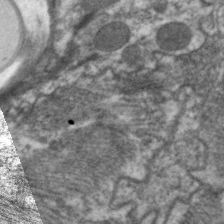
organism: C. elegans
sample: Pharynx